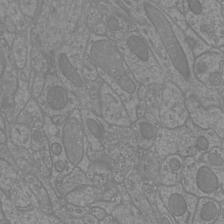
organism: Mouse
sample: Cortical neurons